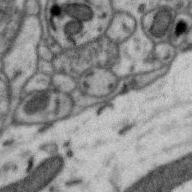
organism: Zebra finch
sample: Brain